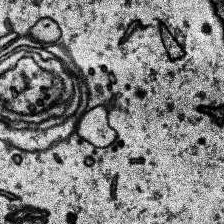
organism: Human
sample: Temporal Lobe